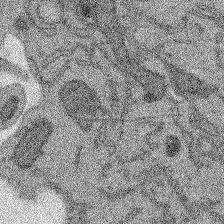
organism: Human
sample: HeLa cells